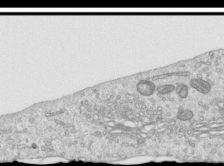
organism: Human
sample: Centriole in RPE cells